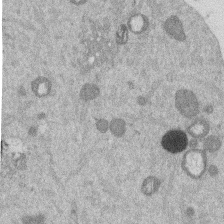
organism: Mouse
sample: Dividing mouse embryo 1 cell stage